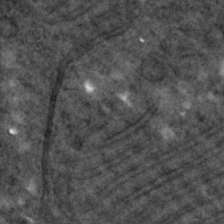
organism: C. elegans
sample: C. elegans embryo